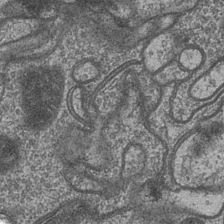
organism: Drosophila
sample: Optic medulla